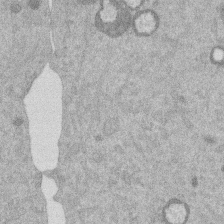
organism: Mouse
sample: Dividing mouse embryo 1 cell stage